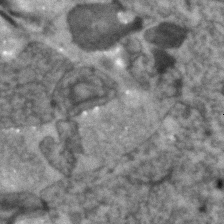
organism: Human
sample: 1205lu cells